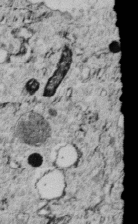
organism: C. elegans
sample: C. elegans embryo early stage